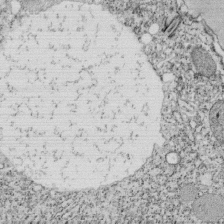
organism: Tetrahymena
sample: Cilia in tetrahymena